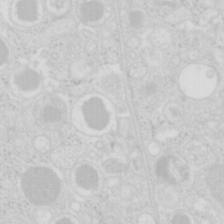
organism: Mouse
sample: Pancreas